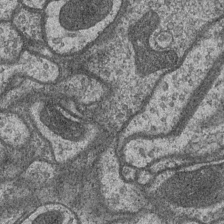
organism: Drosophila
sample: Optic medulla